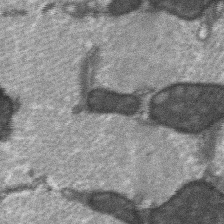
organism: C57BL Mouse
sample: Soleus